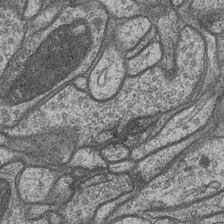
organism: Drosophila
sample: Optic medulla